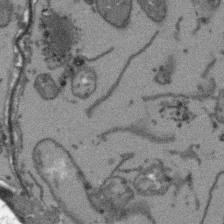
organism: Arabidopsis thaliana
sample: Root tip